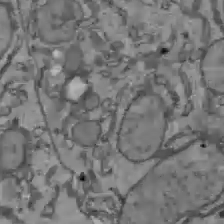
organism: C57BL Mouse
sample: Liver